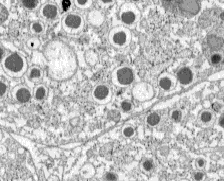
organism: C57BL Mouse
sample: Pancreatic islet